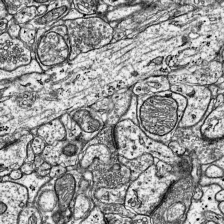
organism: Mouse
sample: Visual Cortex